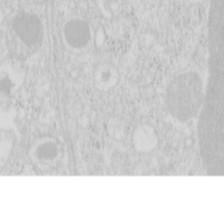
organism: Mouse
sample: Pancreas